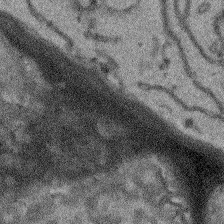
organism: Arabidopsis thaliana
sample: Root tip